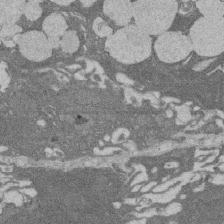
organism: Rat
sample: Salivary granule